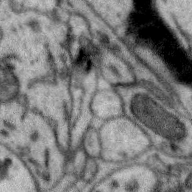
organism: Zebra finch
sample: Brain